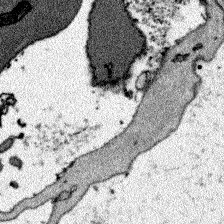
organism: Zebrafish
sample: Larval olfactory bulb